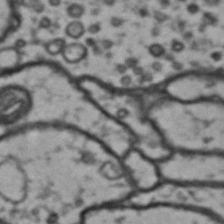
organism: Drosophila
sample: Brain